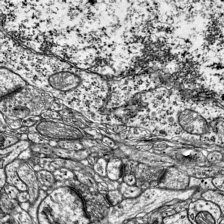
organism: Mouse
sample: Visual Cortex